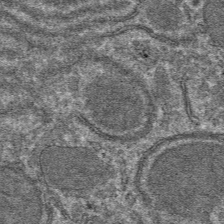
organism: Mouse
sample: Mouse hepatocytes